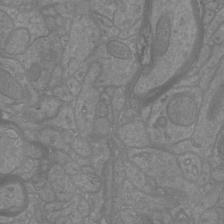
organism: Mouse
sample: Cortical neurons